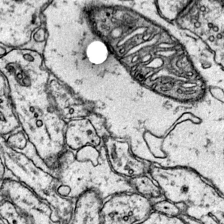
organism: Mouse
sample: Primary visual cortex